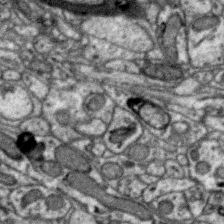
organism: Zebra finch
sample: Brain